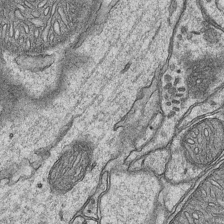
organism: Mouse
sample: CA1 Hippocampus